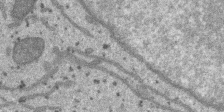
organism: Human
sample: Lung epithelial cells infected with SARS-CoV-2